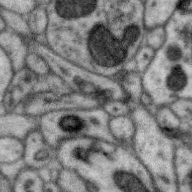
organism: Zebra finch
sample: Brain